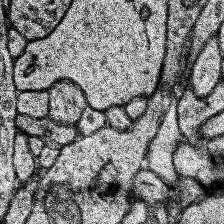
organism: Human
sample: Temporal Lobe